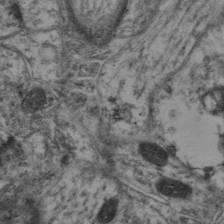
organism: Mouse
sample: Neocortex